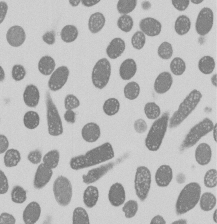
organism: E. coli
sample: Bacterial nucleoid